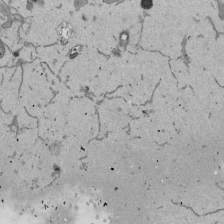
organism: Mouse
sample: ED-1 cell nuclei; centrioles